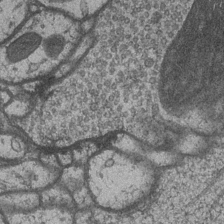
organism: Drosophila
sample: Optic medulla